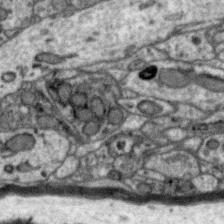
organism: Zebra finch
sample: Brain